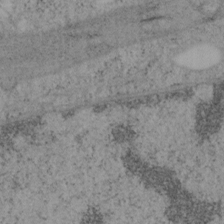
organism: Mouse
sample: OT-I killer T cells with ID8 ovarian cancer cells